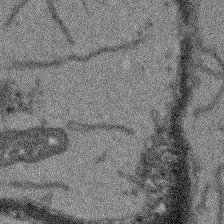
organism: Arabidopsis thaliana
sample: Root tip